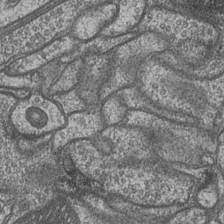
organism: Drosophila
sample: Optic medulla